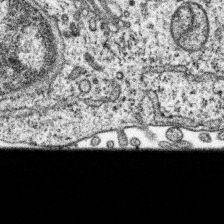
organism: Human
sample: HeLa cells